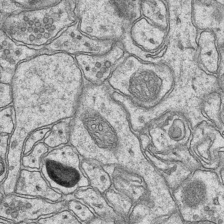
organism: Mouse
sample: CA1 Hippocampus